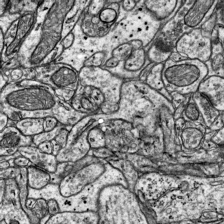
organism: Mouse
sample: Visual Cortex